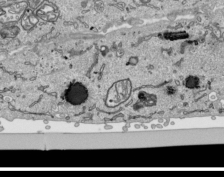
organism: Human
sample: Mitochondria in HCT116 cells